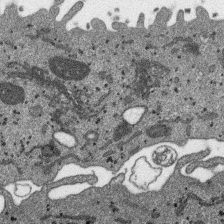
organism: Human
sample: Lung epithelial cells infected with SARS-CoV-2